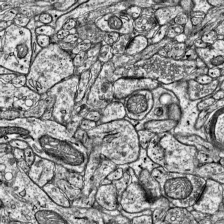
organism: Mouse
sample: Visual Cortex